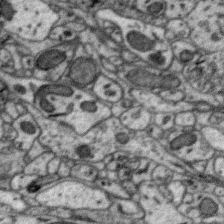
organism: Zebra finch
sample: Brain